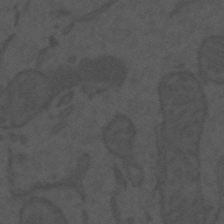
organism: Mouse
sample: Suprachiasmatic nucleus